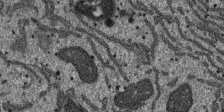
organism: Human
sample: Lung epithelial cells infected with SARS-CoV-2